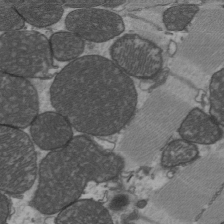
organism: C57BL Mouse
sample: Heart